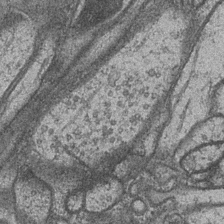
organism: Drosophila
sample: Optic medulla